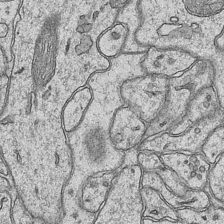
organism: Mouse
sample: CA1 Hippocampus